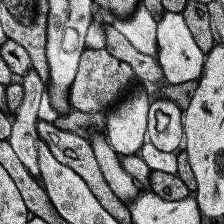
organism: Human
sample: Temporal Lobe